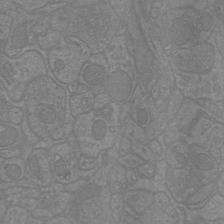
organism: Mouse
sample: Cortical neurons